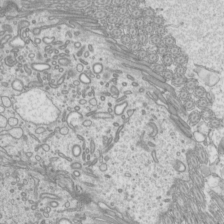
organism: Mouse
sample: Cilia; mouse epididymis